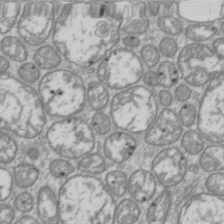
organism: Drosophila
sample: Cell division; meiosis; drosophila spermatocytes